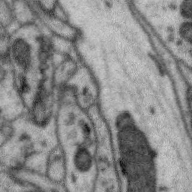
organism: Zebra finch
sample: Brain